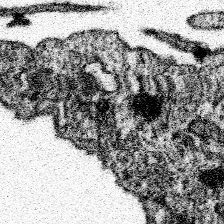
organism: Spongilla lacustris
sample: Neuroid cell